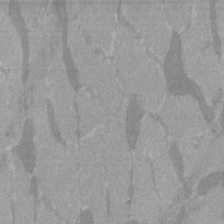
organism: C57BL Mouse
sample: Tibialis anterior muscle cell